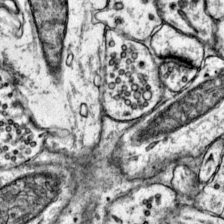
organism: Mouse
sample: Primary visual cortex